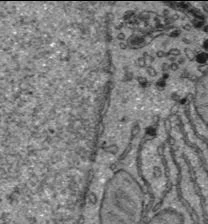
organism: C57BL Mouse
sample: Liver